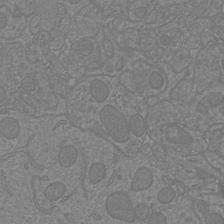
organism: Mouse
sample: Cortical neurons